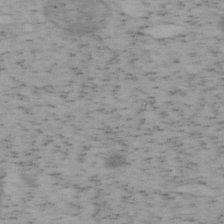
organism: Mouse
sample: OT-I killer T cells with ID8 ovarian cancer cells